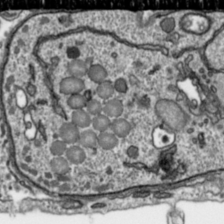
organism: Toxoplasma gondii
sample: Parasites in a vacuole inside a host cell